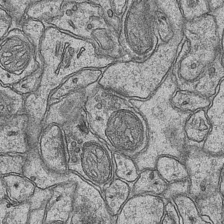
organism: Mouse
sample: CA1 Hippocampus